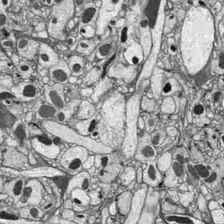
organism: Drosophila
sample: Optic lobe